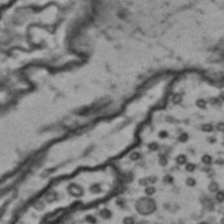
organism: Drosophila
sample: Brain